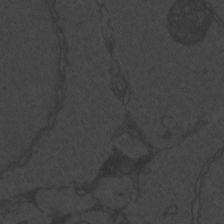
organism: Zebrafish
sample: Macrophage infected with Toxoplasma gondii